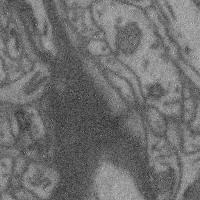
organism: Mouse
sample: Cerebral cortex